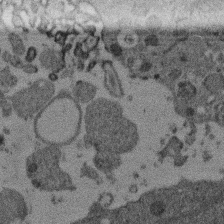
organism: Mouse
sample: Dividing mouse embryo 1 cell stage